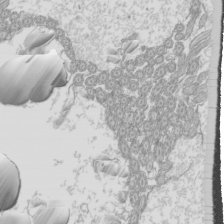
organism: Mouse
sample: Cilia; mouse epididymis